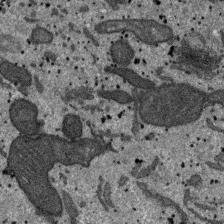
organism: Human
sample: Lung epithelial cells, uninfected (mock) control